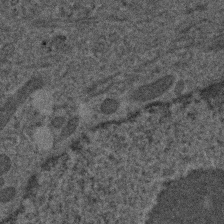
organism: Human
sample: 1205lu cells